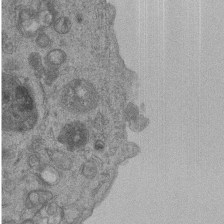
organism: Human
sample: MDA-MB-231 cells